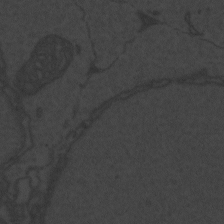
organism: Zebrafish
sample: Macrophage infected with Toxoplasma gondii